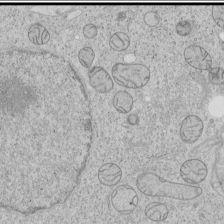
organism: Human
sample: Mitochondria in HCT116 cells